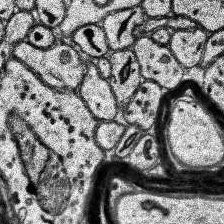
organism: Human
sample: Temporal Lobe